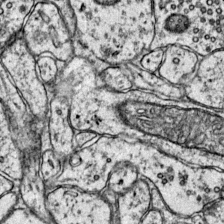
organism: Mouse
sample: Primary visual cortex